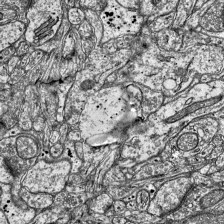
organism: Mouse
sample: Visual Cortex